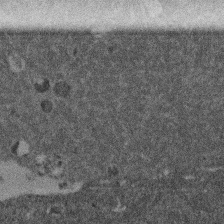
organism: Mouse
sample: Dividing mouse embryo 1 cell stage